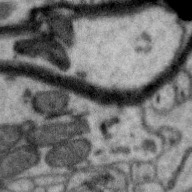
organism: Zebra finch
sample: Brain